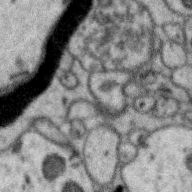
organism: Zebra finch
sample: Brain